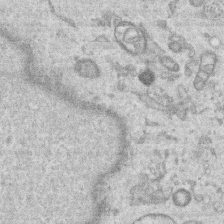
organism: Human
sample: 1205lu cells